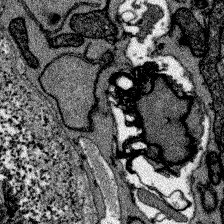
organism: Zebrafish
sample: Larval olfactory bulb